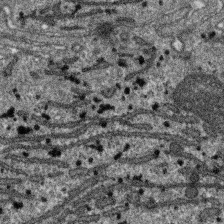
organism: Human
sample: Lung epithelial cells infected with SARS-CoV-2